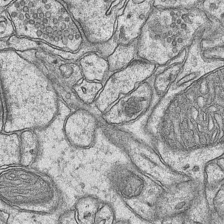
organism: Mouse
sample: CA1 Hippocampus